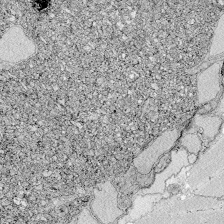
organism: Zebrafish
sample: Whole-Brain